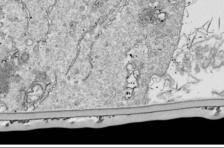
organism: Drosophila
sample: Cell division; meiosis; drosophila spermatocytes